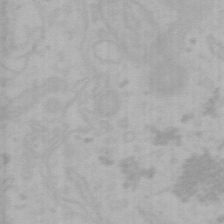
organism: Mouse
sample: Choroid plexus